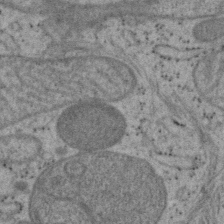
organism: Human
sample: HeLa cells